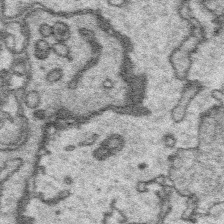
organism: Platynereis dumerilii